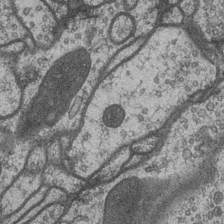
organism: Drosophila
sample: Optic medulla